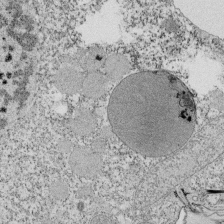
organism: Tetrahymena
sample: Cilia in tetrahymena